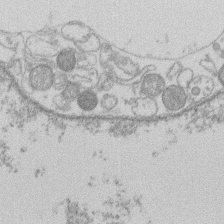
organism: Human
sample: Macrophage cells